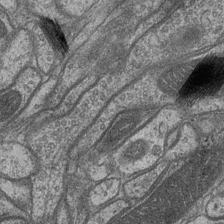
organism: Drosophila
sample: Optic medulla